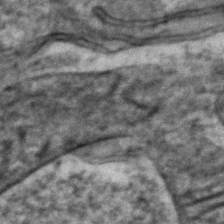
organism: Zebrafish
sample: Zebrafish embryo